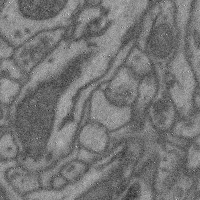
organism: Mouse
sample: Cerebral cortex